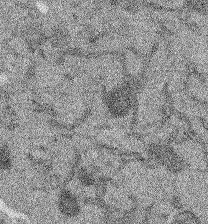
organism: Human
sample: HeLa cells